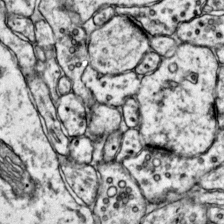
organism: Mouse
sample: Primary visual cortex